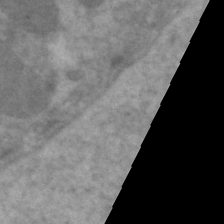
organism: C. elegans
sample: Pharynx